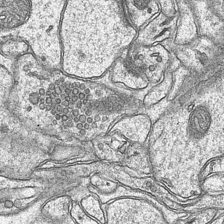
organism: Mouse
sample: CA1 Hippocampus